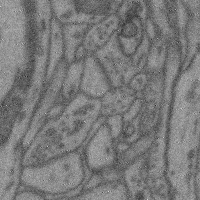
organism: Mouse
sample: Cerebral cortex